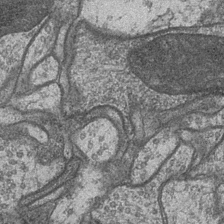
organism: Drosophila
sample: Optic medulla